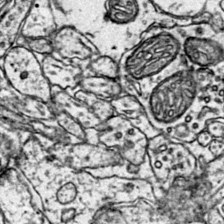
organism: Mouse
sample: Primary visual cortex